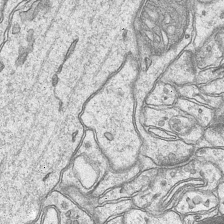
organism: Mouse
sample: CA1 Hippocampus